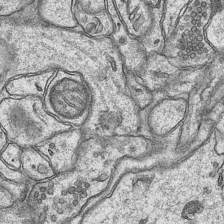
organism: Mouse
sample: CA1 Hippocampus